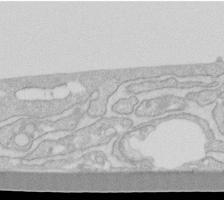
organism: Human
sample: Fibroblast cells